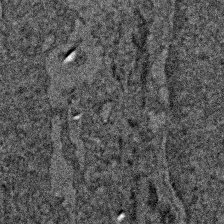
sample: Trachea